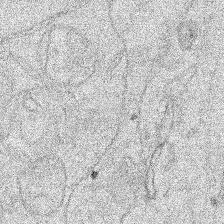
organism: Human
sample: Mitochondria in HCT116 cells